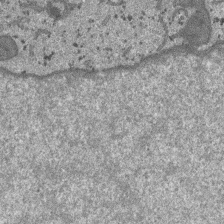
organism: Human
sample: Lung epithelial cells infected with SARS-CoV-2